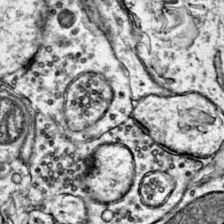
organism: Mouse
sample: Primary visual cortex